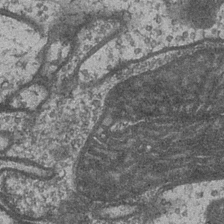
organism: Drosophila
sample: Optic medulla